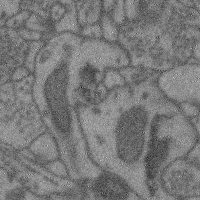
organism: Mouse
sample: Cerebral cortex